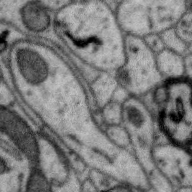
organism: Zebra finch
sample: Brain